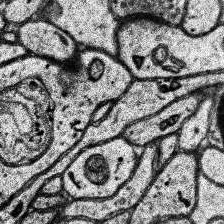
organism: Human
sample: Temporal Lobe